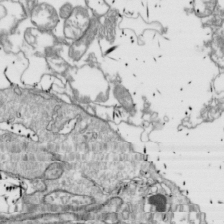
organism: Drosophila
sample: Cell division; meiosis; drosophila spermatocytes